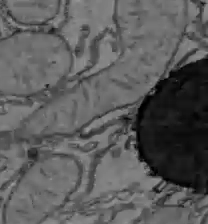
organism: C57BL Mouse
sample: Liver